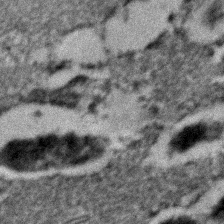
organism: C. elegans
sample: C. elegans embryo